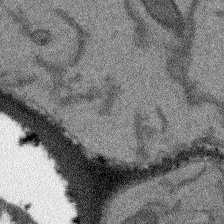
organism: Arabidopsis thaliana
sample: Root tip